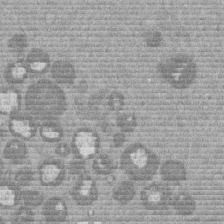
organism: Mouse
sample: Dividing mouse embryo 1 cell stage